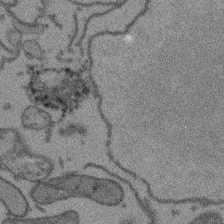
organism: Arabidopsis thaliana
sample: Root tip